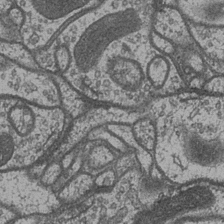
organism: Drosophila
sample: Optic medulla